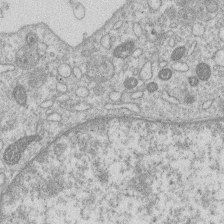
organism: Human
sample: Macrophage cells